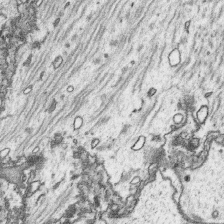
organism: Platynereis dumerilii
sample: Parapodia